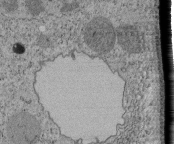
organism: Tetrahymena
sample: Cilia in tetrahymena